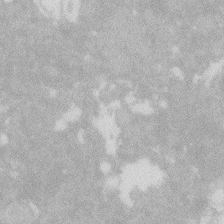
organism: Zebrafish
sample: Macrophage